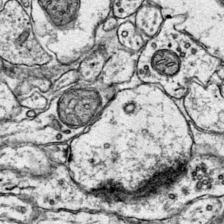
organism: Mouse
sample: Primary visual cortex